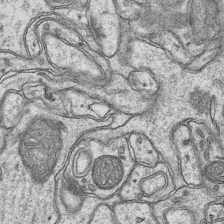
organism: Mouse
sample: CA1 Hippocampus